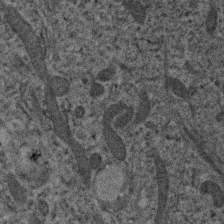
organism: Human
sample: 1205lu cells